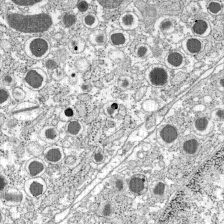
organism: C57BL Mouse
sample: Pancreatic islet